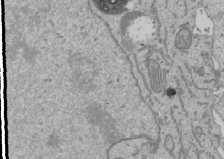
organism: Human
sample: Mitochondria in U2OS cells